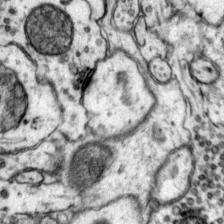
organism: Mouse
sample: Primary visual cortex